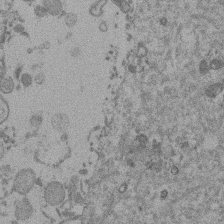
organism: Mouse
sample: Dividing mouse embryo 1 cell stage